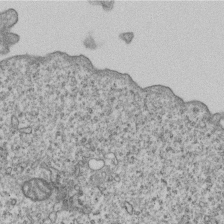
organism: Human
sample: MDA-MB-231 cells